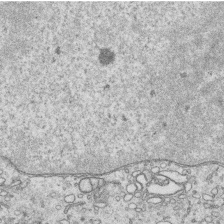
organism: Human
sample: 1205lu cells